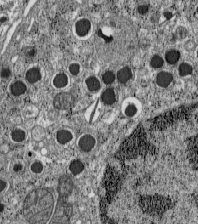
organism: C57BL Mouse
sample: Pancreatic islet